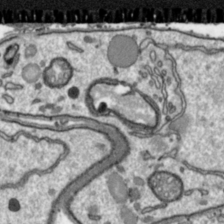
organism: Toxoplasma gondii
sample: Parasites in a vacuole inside a host cell